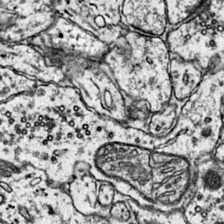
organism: Mouse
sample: Primary visual cortex